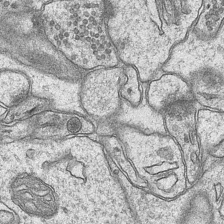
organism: Mouse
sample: CA1 Hippocampus